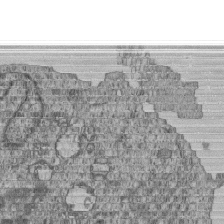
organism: Human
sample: MDA-MB-231 cells